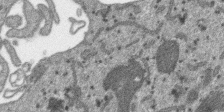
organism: Human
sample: Lung epithelial cells infected with SARS-CoV-2